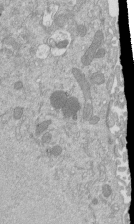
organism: Mouse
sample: ED-1 cell nuclei; centrioles